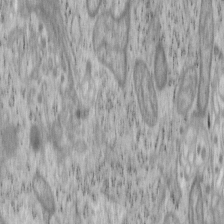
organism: Human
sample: HeLa cells